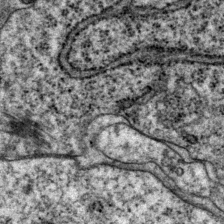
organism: P. pacificus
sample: Pharynx